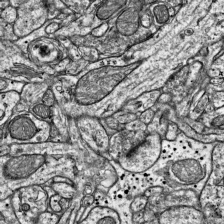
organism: Mouse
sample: Visual Cortex